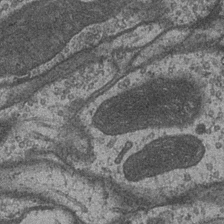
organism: Drosophila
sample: Optic medulla